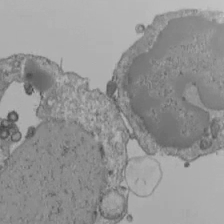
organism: Human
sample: Jurkat E6-1 and CD4 cells